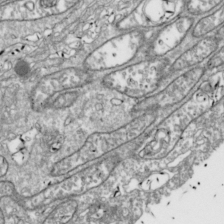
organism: Drosophila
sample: Cell division; meiosis; drosophila spermatocytes